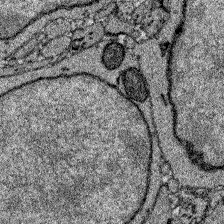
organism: Zebrafish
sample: Larval olfactory bulb